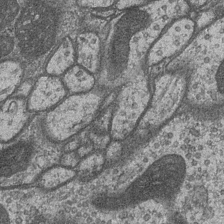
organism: Drosophila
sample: Optic medulla